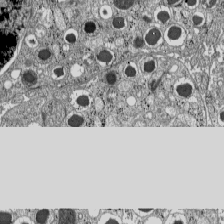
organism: C57BL Mouse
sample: Pancreatic islet